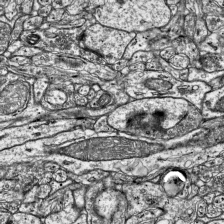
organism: Mouse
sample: Visual Cortex